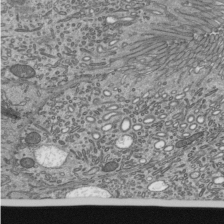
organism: Mouse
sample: Mouse epididymis efferent ductule cilia